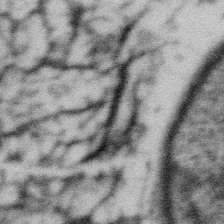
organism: Gemmata obscuriglobus